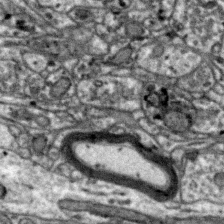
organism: Zebra finch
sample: Brain